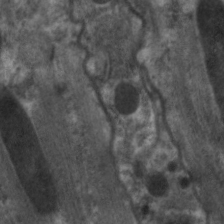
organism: C. elegans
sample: Pharynx